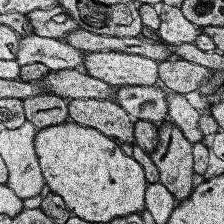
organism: Human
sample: Temporal Lobe